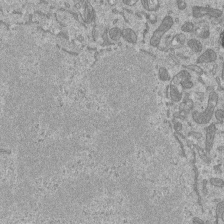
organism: Mouse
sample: ED-1 cell nuclei; centrioles